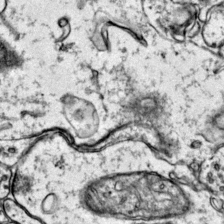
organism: Mouse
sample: Primary visual cortex